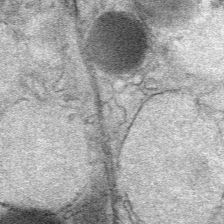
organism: Mouse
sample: Mouse Salivary gland